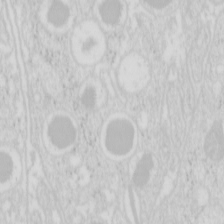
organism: Mouse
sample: Pancreas